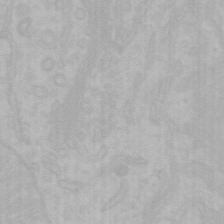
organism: Mouse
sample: Choroid plexus